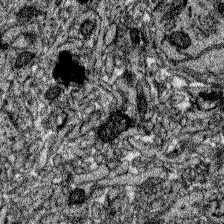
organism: Zebrafish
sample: Larval olfactory bulb